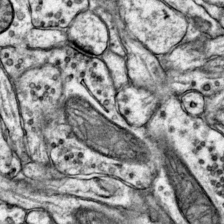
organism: Mouse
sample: Primary visual cortex